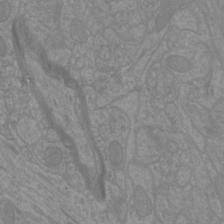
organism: Mouse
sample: Cortical neurons